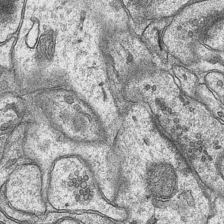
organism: Mouse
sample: CA1 Hippocampus